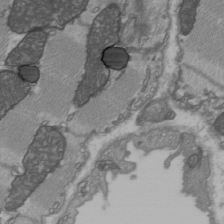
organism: C57BL Mouse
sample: Heart